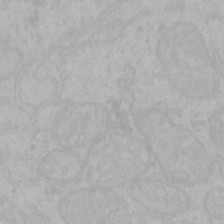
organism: Mouse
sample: Choroid plexus